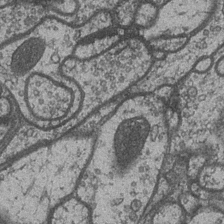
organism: Drosophila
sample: Optic medulla